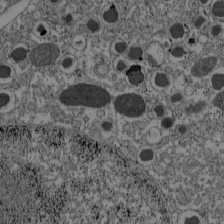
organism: C57BL Mouse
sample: Pancreatic islet